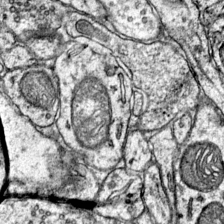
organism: Mouse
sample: Primary visual cortex